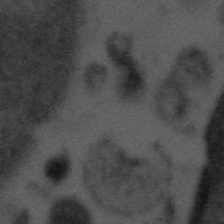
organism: Tuwongella immobilis